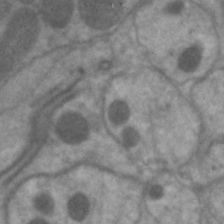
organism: C. elegans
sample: Pharynx